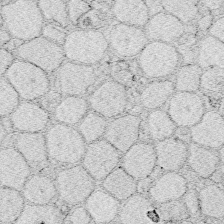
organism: Zebrafish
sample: Whole-Brain